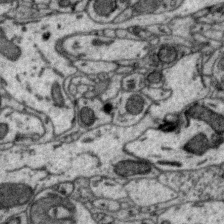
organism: Zebra finch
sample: Brain